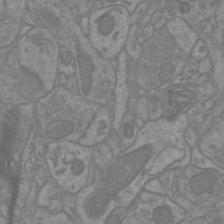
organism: Mouse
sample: Cortical neurons